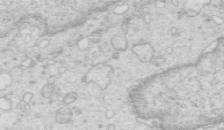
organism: Mouse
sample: Multiciliated cells